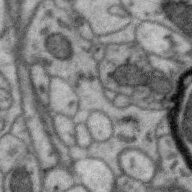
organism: Zebra finch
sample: Brain